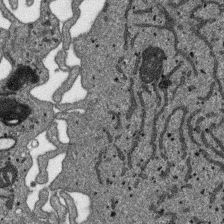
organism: Human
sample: Lung epithelial cells infected with SARS-CoV-2